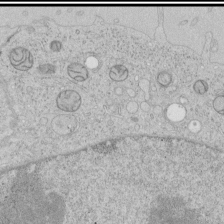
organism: Human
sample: Mitochondria in HCT116 cells